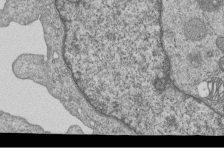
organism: Human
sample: MDA-MB-231 cells